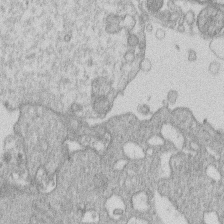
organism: Human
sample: Macrophage cells